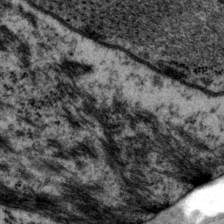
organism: P. pacificus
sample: Pharynx